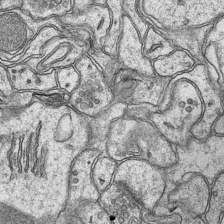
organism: Mouse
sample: CA1 Hippocampus